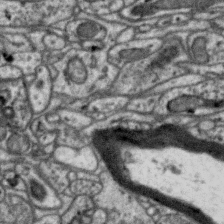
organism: Zebra finch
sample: Brain